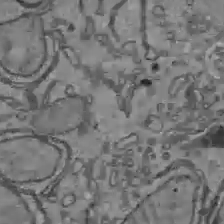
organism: C57BL Mouse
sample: Liver